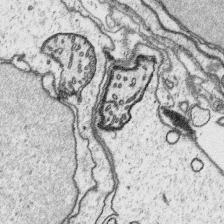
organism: Platynereis dumerilii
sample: Parapodia